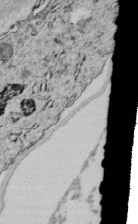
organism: C. elegans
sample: C. elegans embryo early stage